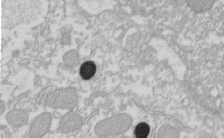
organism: Xenopus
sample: Cilia; centrioles in frog embryo cells